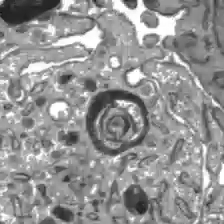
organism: C57BL Mouse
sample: Liver